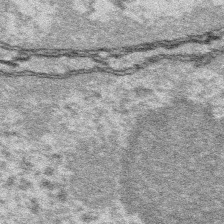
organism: Platynereis dumerilii